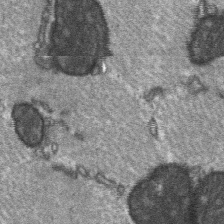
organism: C57BL Mouse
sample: Soleus